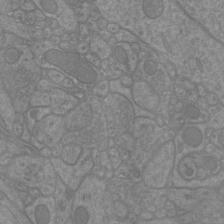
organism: Mouse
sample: Cortical neurons